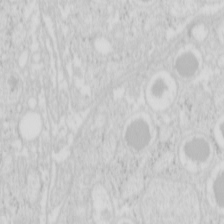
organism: Mouse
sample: Pancreas